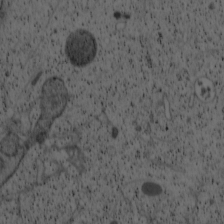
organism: African green monkey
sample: COS-7 cells